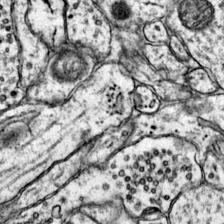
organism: Mouse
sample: Primary visual cortex